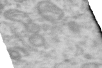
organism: Human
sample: Centriole in RPE cells